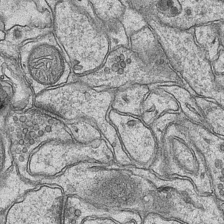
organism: Mouse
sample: CA1 Hippocampus